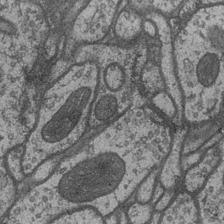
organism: Drosophila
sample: Optic medulla